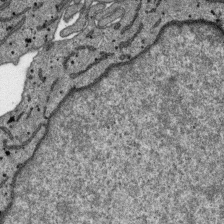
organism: Human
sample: Lung epithelial cells, uninfected (mock) control